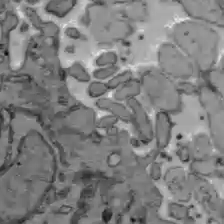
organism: C57BL Mouse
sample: Liver